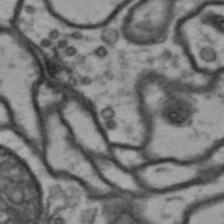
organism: Drosophila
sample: Brain